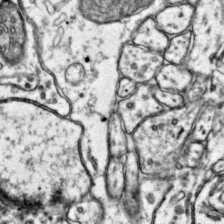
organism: Mouse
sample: Primary visual cortex